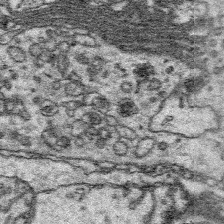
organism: Platynereis dumerilii